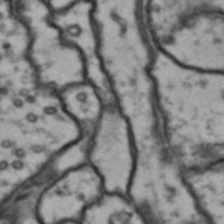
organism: Drosophila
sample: Brain